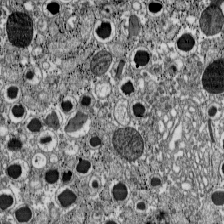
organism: C57BL Mouse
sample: Pancreatic islet